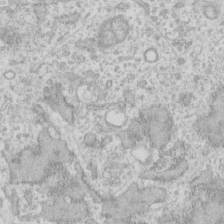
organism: Human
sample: Fibroblast cells